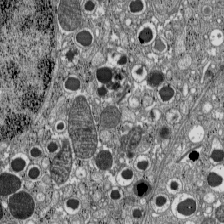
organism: C57BL Mouse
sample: Pancreatic islet